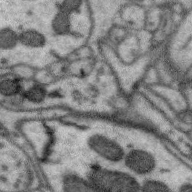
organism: Zebra finch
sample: Brain